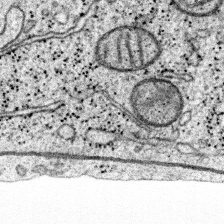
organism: Human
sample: HeLa cells